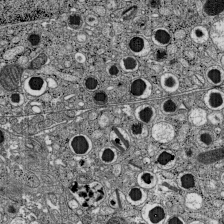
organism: C57BL Mouse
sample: Pancreatic islet